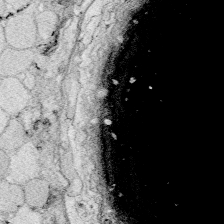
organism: Zebrafish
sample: Whole-Brain